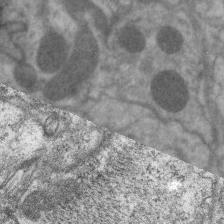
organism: C. elegans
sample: Pharynx